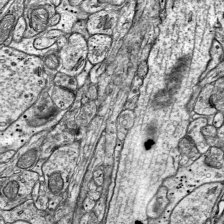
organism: Mouse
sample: Visual Cortex